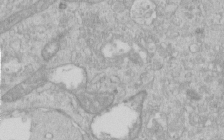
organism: Human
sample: Centriole in RPE cells